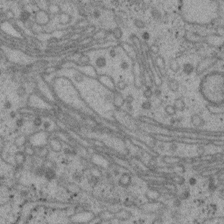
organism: Human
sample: HeLa cells